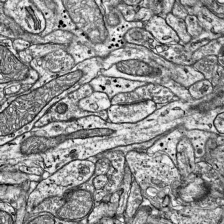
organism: Mouse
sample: Visual Cortex